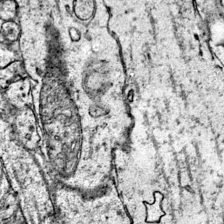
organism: Mouse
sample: Primary visual cortex